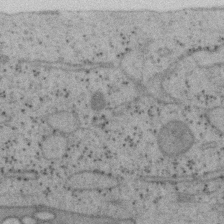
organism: Human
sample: HeLa cells